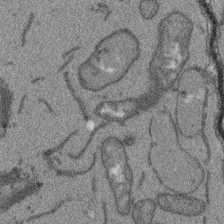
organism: Arabidopsis thaliana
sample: Root tip